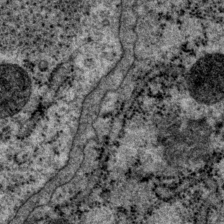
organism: P. pacificus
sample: Pharynx